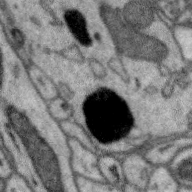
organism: Zebra finch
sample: Brain